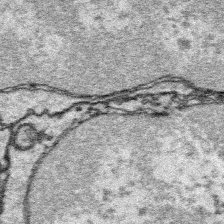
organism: Platynereis dumerilii